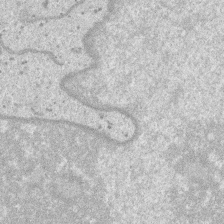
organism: Human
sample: Lung epithelial cells infected with SARS-CoV-2